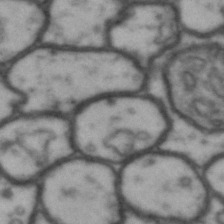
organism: Drosophila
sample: Brain